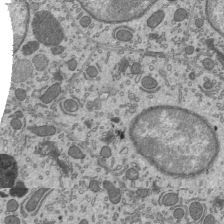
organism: Mouse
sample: Mouse epididymis efferent ductule cilia